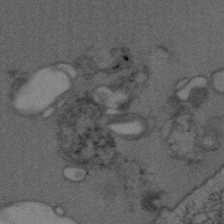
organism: Human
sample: HeLa cells